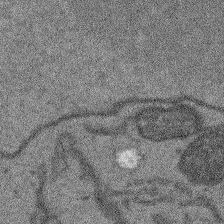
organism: Arabidopsis thaliana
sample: Root tip